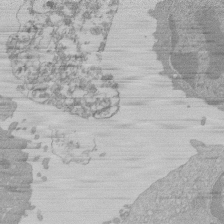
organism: Mouse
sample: Activated Pmel transgenic CD8+ T Cells